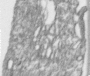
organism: Human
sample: Centriole in RPE cells